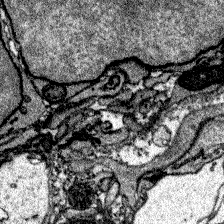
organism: Zebrafish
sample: Larval olfactory bulb